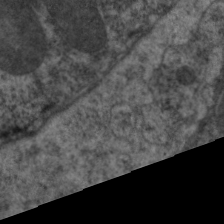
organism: C. elegans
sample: Pharynx